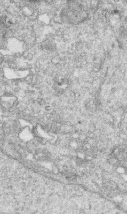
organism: Human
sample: HeLa cell HIV synapse